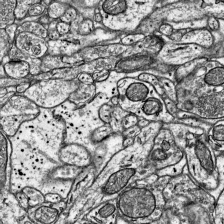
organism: Mouse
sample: Visual Cortex